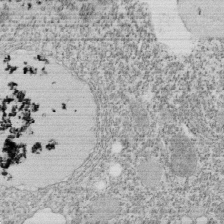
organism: Tetrahymena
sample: Cilia in tetrahymena